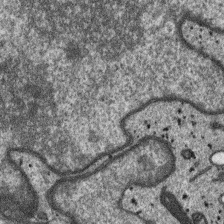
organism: Human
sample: Lung epithelial cells infected with SARS-CoV-2